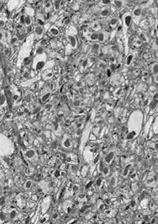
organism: Drosophila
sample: Optic lobe